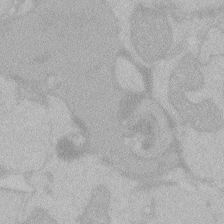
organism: Zebrafish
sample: Macrophage infected with Toxoplasma gondii